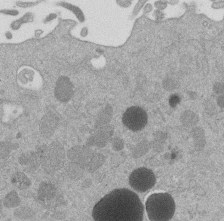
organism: Mouse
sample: Dividing mouse embryo 1 cell stage